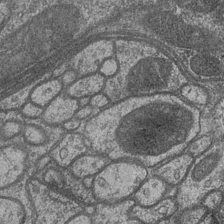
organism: Drosophila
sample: Optic medulla